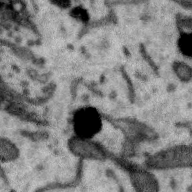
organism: Zebra finch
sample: Brain